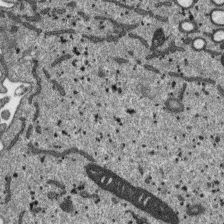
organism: Human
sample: Lung epithelial cells infected with SARS-CoV-2